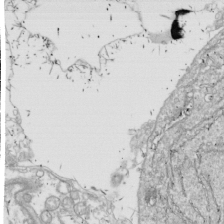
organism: Drosophila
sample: Cell division; meiosis; drosophila spermatocytes